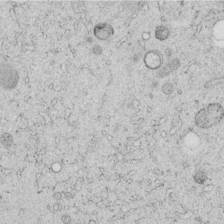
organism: C. elegans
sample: C. elegans embryo early stage